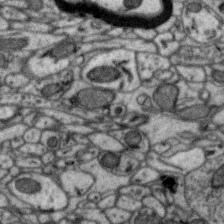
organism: Zebra finch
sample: Brain